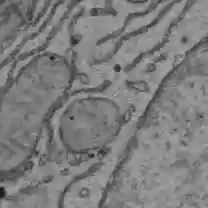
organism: C57BL Mouse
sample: Liver